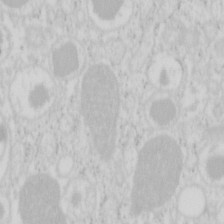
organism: Mouse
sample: Pancreas